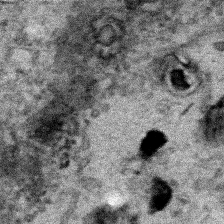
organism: Human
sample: Mitochondria in HCT116 cells